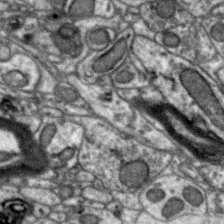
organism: Zebra finch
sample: Brain